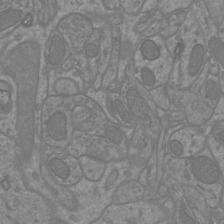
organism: Mouse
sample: Cortical neurons